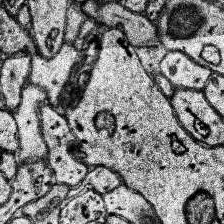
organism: Human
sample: Temporal Lobe